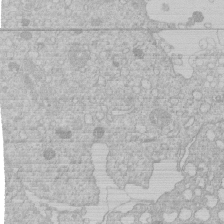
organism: Human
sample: Macrophage cells